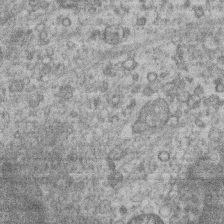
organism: Mouse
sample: T cell stromal cell synapse